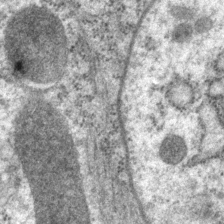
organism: P. pacificus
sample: Pharynx